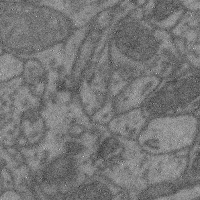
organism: Mouse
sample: Cerebral cortex